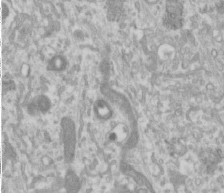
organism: Human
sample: Cilia; basal body in RPE cells